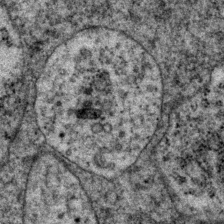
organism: P. pacificus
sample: Pharynx